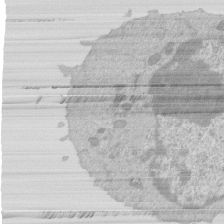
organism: Mouse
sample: Activated Pmel transgenic CD8+ T Cells